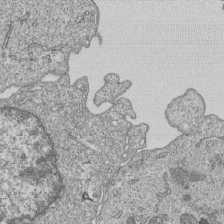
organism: Human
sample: MDA-MB-231 cells